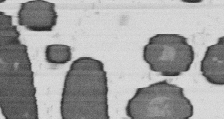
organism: B. subtilis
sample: Bacterial spore